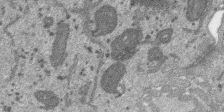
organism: Human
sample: Lung epithelial cells infected with SARS-CoV-2